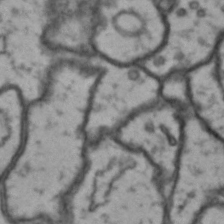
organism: Drosophila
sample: Brain